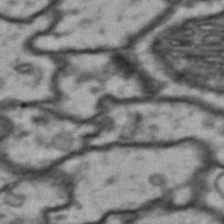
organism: Drosophila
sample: Brain